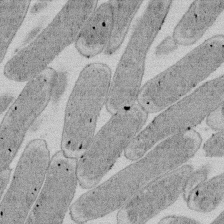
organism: E. coli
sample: Bacterial nucleoid